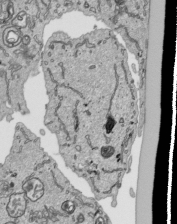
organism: Human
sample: Mitochondria in HCT116 cells